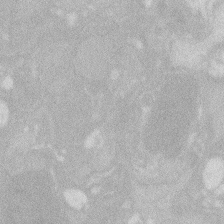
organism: Zebrafish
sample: Macrophage